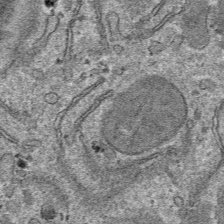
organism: Mouse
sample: Mouse hepatocytes